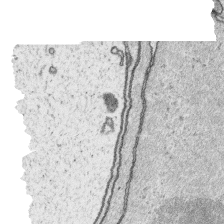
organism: Platynereis dumerilii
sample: Parapodia